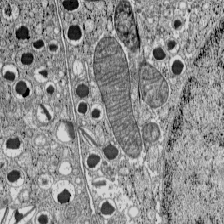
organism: C57BL Mouse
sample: Pancreatic islet